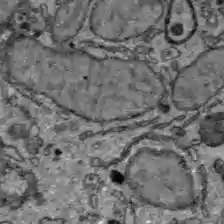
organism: C57BL Mouse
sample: Liver